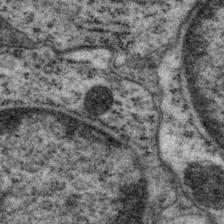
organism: P. pacificus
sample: Pharynx